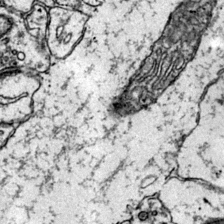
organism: Mouse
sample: Primary visual cortex